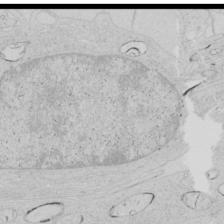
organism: Human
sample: Mitochondria in HCT116 cells